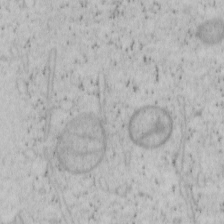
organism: Human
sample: HeLa cells